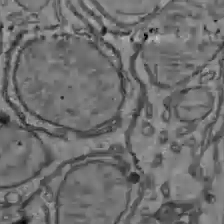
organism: C57BL Mouse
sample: Liver